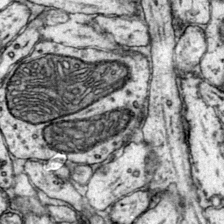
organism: Mouse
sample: Primary visual cortex